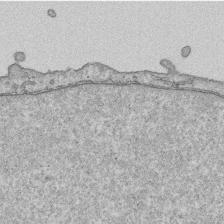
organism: Human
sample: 1205lu cells